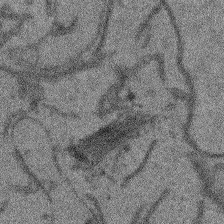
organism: Arabidopsis thaliana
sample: Root tip